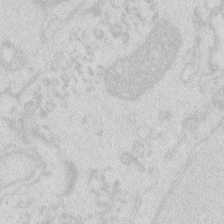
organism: Zebrafish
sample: Macrophage